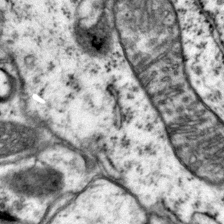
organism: Mouse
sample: Primary visual cortex